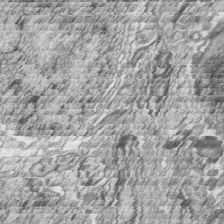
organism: Zebrafish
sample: synaptic ribbons in rod cells and cone cells